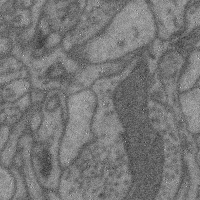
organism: Mouse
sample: Cerebral cortex